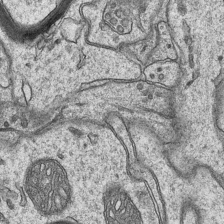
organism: Mouse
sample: CA1 Hippocampus